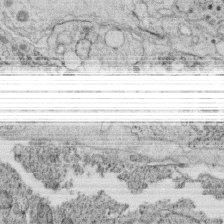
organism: C. elegans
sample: C. elegans oocyte; sperm cells